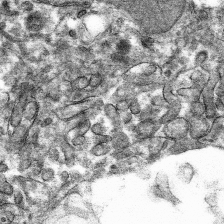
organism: Mouse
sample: Mouse hepatocytes